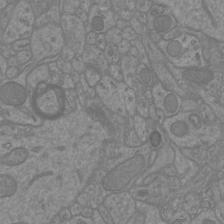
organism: Mouse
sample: Cortical neurons